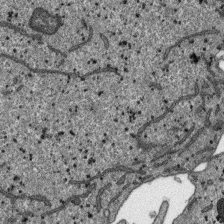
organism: Human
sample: Lung epithelial cells infected with SARS-CoV-2